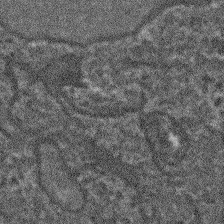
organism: Arabidopsis thaliana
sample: Root tip